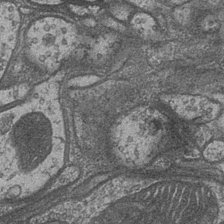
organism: Drosophila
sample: Optic medulla